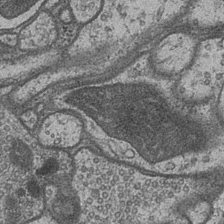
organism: Drosophila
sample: Optic medulla